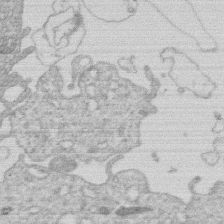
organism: Human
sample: Macrophage cells